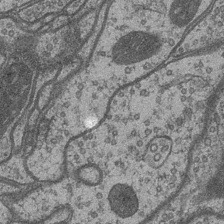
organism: Drosophila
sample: Optic medulla